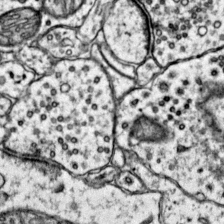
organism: Mouse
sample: Primary visual cortex